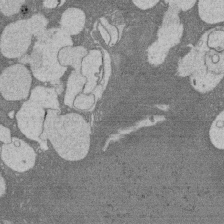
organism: Rat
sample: Salivary granule